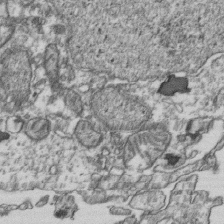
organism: Human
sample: Activated Jurkat CD4+ T cells